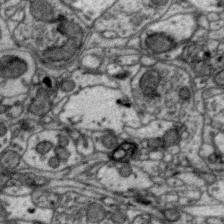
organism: Zebra finch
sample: Brain